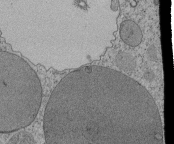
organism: Tetrahymena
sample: Cilia in tetrahymena